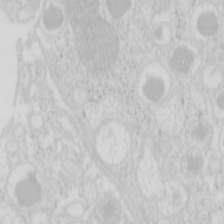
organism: Mouse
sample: Pancreas